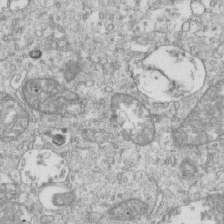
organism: Mouse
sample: Activated OT-1 CD8+ T cells